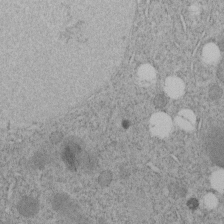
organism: C. elegans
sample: C. elegans embryo early stage